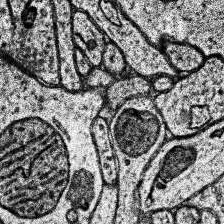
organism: Human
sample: Temporal Lobe